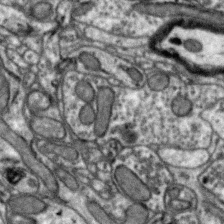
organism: Zebra finch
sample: Brain